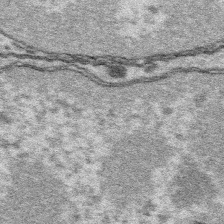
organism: Platynereis dumerilii